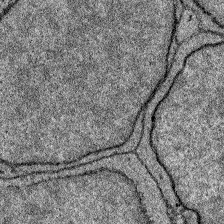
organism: Zebrafish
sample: Larval olfactory bulb